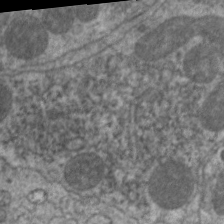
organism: C. elegans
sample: Pharynx